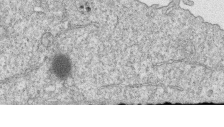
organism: Human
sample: HeLa cell HIV synapse